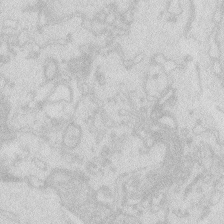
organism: Zebrafish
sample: Macrophage